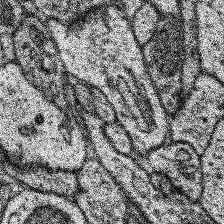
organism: Human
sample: Temporal Lobe